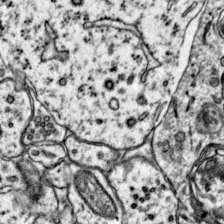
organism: Mouse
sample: Primary visual cortex